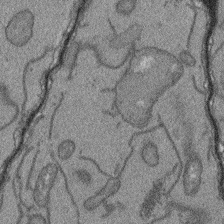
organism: Arabidopsis thaliana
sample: Root tip